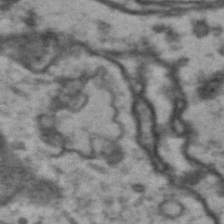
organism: Drosophila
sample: Brain